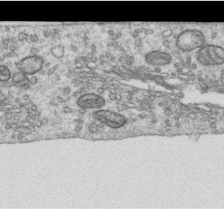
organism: Human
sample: Centriole in RPE cells